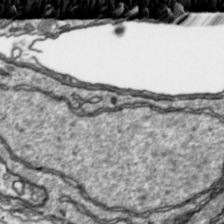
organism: Toxoplasma gondii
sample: Parasites in a vacuole inside a host cell